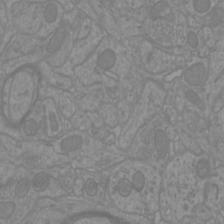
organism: Mouse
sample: Cortical neurons